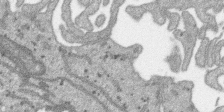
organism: Human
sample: Lung epithelial cells infected with SARS-CoV-2